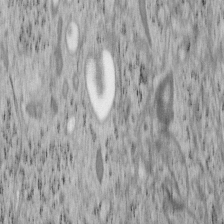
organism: Human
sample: HeLa cells